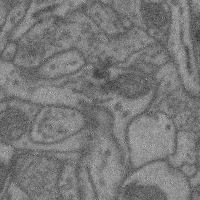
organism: Mouse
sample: Cerebral cortex